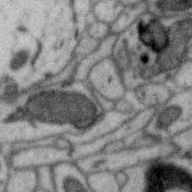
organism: Zebra finch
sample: Brain